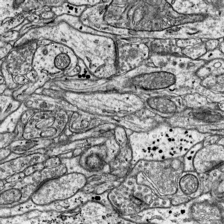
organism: Mouse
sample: Visual Cortex